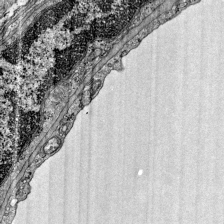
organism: Mouse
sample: Visual Cortex